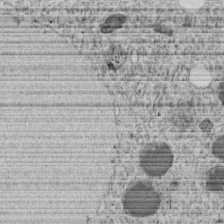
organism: C. elegans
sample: C. elegans embryo early stage